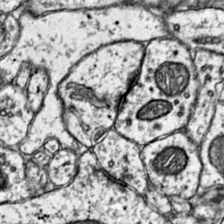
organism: Mouse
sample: Primary visual cortex